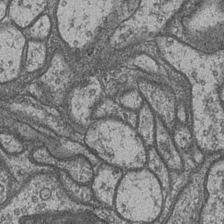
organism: Drosophila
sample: Optic medulla